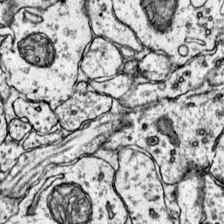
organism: Mouse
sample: Primary visual cortex